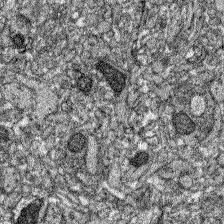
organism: Zebrafish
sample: Larval olfactory bulb